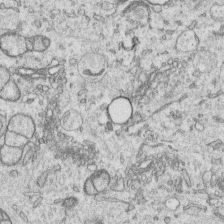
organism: Human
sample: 1205lu cells